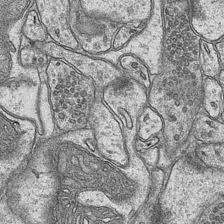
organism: Mouse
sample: CA1 Hippocampus